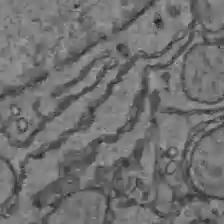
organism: C57BL Mouse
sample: Liver